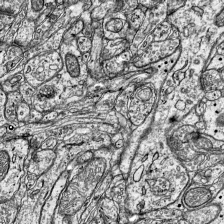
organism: Mouse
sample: Visual Cortex